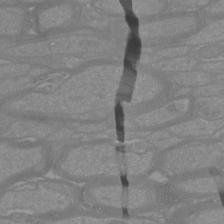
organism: Mouse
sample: Cortical neurons